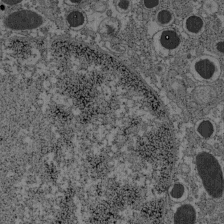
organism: C57BL Mouse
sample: Pancreatic islet